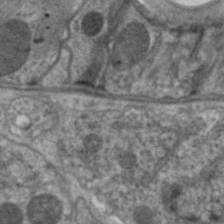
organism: C. elegans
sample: Pharynx